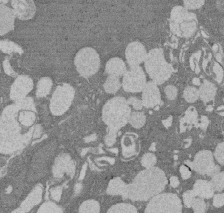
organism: Rat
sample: Salivary granule